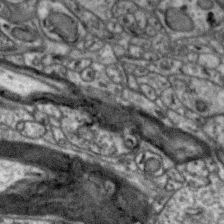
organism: Zebra finch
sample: Brain